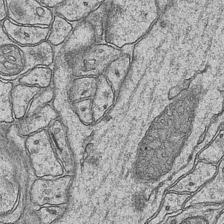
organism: Mouse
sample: CA1 Hippocampus